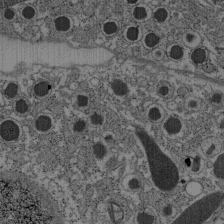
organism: C57BL Mouse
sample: Pancreatic islet